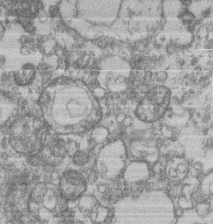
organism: Mouse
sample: T cell stromal cell synapse